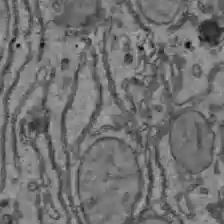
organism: C57BL Mouse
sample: Liver